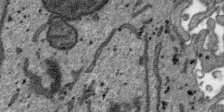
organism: Human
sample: Lung epithelial cells, uninfected (mock) control